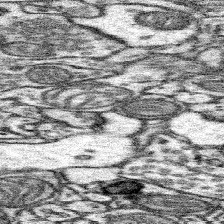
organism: Mouse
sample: Somatosensory cortex neuropil